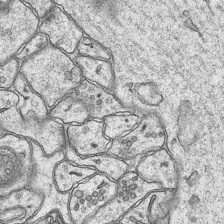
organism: Mouse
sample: CA1 Hippocampus